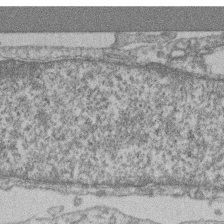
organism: Mouse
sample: T cell stromal cell synapse